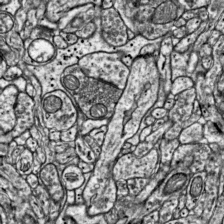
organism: Mouse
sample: Visual Cortex